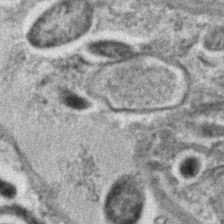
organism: C. elegans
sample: C. elegans embryo